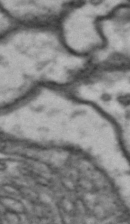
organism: Drosophila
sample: Brain